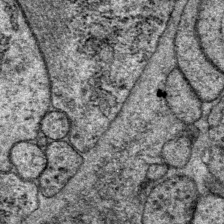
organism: P. pacificus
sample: Pharynx